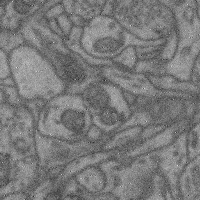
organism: Mouse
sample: Cerebral cortex